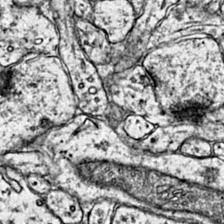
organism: Mouse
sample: Primary visual cortex